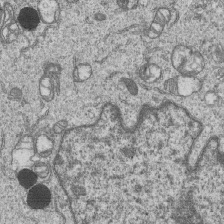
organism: Human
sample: MDA-MB-231 cells